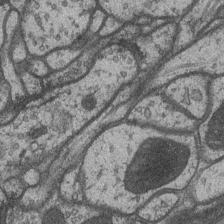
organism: Drosophila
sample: Optic medulla